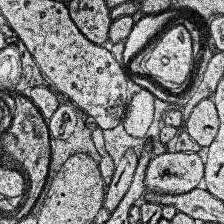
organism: Human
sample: Temporal Lobe